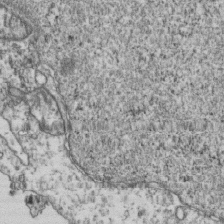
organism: Human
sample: Activated Jurkat CD4+ T cells